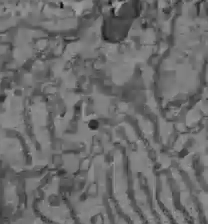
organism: C57BL Mouse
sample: Liver